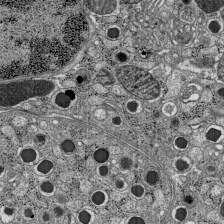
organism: C57BL Mouse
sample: Pancreatic islet